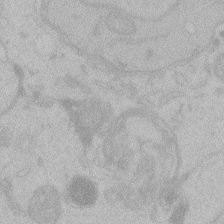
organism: Zebrafish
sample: Macrophage infected with Toxoplasma gondii